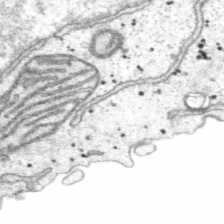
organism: Human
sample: HeLa cells